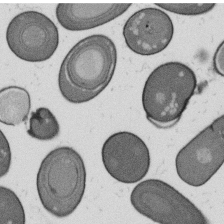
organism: B. subtilis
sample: Bacterial spore